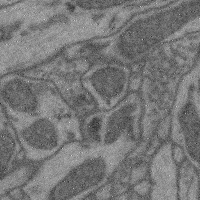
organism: Mouse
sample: Cerebral cortex